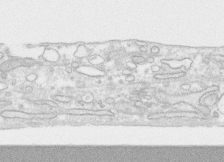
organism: Human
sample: CRL-1474